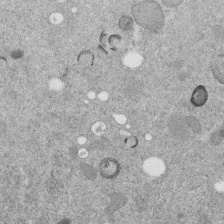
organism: C. elegans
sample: C. elegans embryo early stage